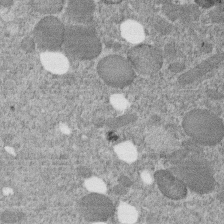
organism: C. elegans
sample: C. elegans embryo early stage